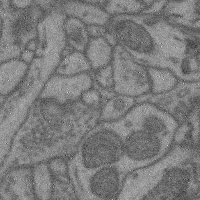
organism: Mouse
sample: Cerebral cortex